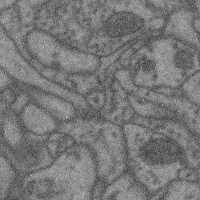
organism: Mouse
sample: Cerebral cortex